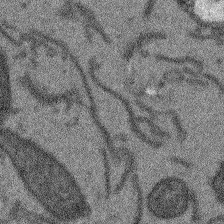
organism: Arabidopsis thaliana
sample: Root tip